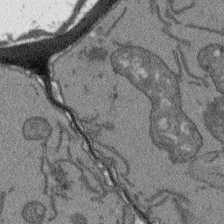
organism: Arabidopsis thaliana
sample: Root tip